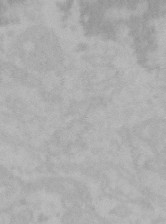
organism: Mouse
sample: Choroid plexus